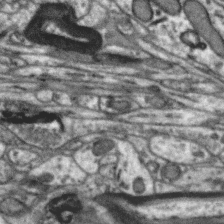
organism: Zebra finch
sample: Brain